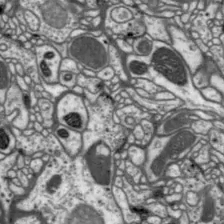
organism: Drosophila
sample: Protocerebral bridge